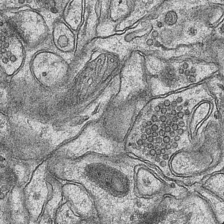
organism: Mouse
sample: CA1 Hippocampus